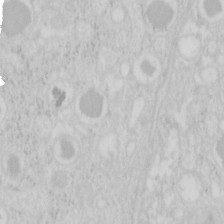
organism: Mouse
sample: Pancreas